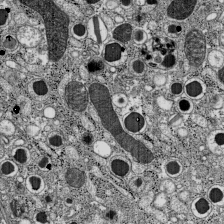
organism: C57BL Mouse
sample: Pancreatic islet